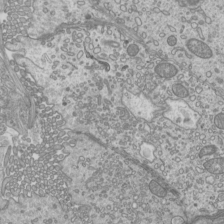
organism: Mouse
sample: Cilia; mouse epididymis